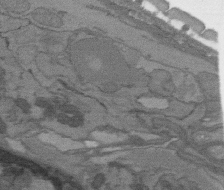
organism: C. elegans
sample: AFD neurons C. elegans